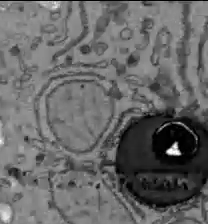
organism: C57BL Mouse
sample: Liver